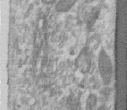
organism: Human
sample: Centriole in RPE cells